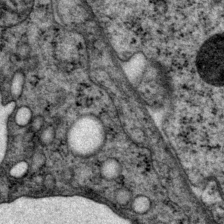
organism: P. pacificus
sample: Pharynx